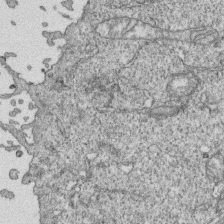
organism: Human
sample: HeLa cell HIV synapse